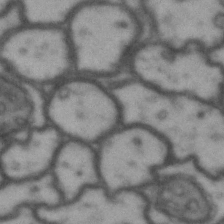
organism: Drosophila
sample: Brain